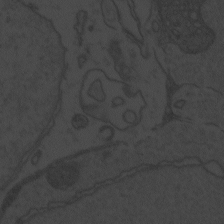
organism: Zebrafish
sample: Macrophage infected with Toxoplasma gondii